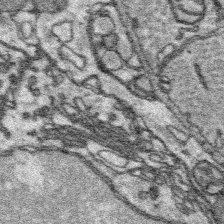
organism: Platynereis dumerilii